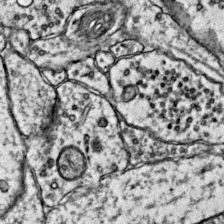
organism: Mouse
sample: Primary visual cortex